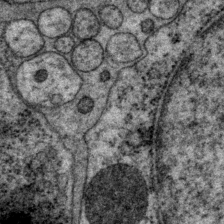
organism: P. pacificus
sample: Pharynx